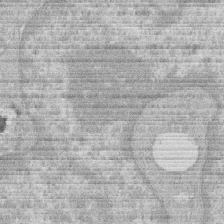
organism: Human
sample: Macrophage cells